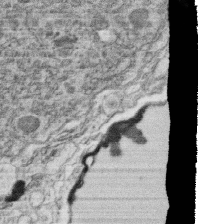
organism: C. elegans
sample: C. elegans oocyte; sperm cells